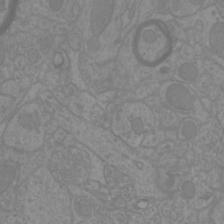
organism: Mouse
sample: Cortical neurons